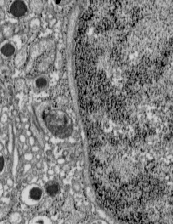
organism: C57BL Mouse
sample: Pancreatic islet